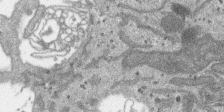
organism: Human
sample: Lung epithelial cells infected with SARS-CoV-2